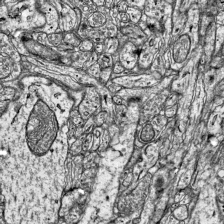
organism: Mouse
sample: Visual Cortex